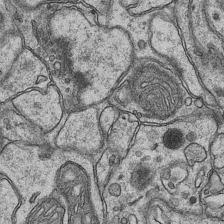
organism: Mouse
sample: CA1 Hippocampus